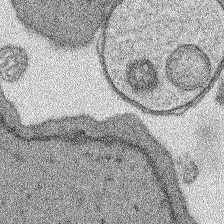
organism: Human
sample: HeLa cells